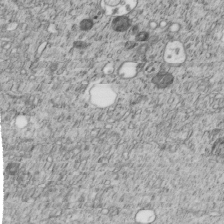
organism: C. elegans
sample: C. elegans embryo early stage